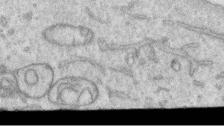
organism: Human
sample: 1205lu cells